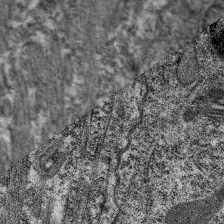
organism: C. elegans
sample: Pharynx